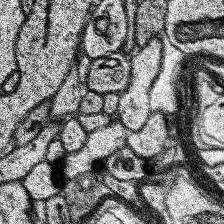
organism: Human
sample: Temporal Lobe